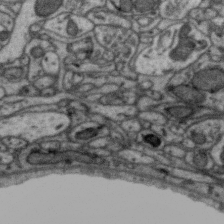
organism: Zebra finch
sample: Brain